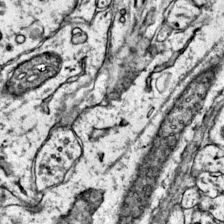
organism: Mouse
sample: Primary visual cortex